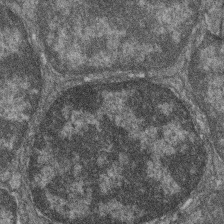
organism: Zebrafish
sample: Cilia; retinal pigment epithelium